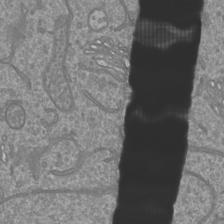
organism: Mouse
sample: Cortical neurons